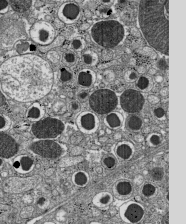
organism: C57BL Mouse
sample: Pancreatic islet